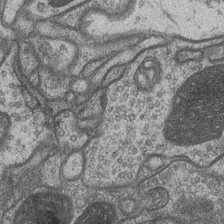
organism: Drosophila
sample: Optic medulla